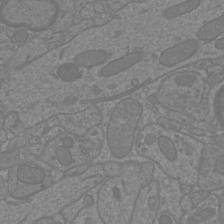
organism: Mouse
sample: Cortical neurons